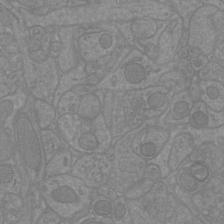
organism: Mouse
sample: Cortical neurons